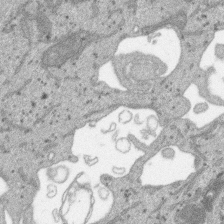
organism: Human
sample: Lung epithelial cells infected with SARS-CoV-2